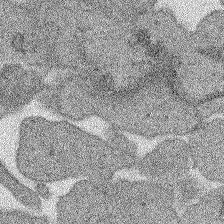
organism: Human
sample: HeLa cells